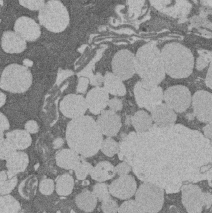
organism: Rat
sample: Salivary granule